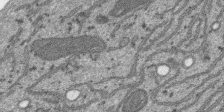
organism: Human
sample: Lung epithelial cells infected with SARS-CoV-2